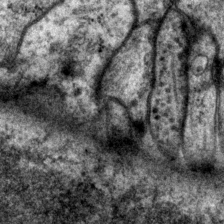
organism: P. pacificus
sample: Pharynx